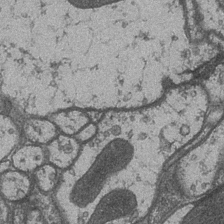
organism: Drosophila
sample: Optic medulla